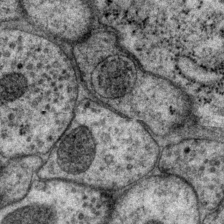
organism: P. pacificus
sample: Pharynx